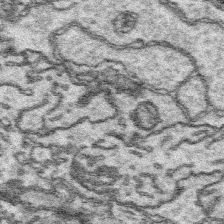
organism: Platynereis dumerilii